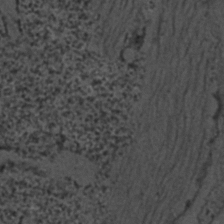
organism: C. elegans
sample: C. elegans embryo